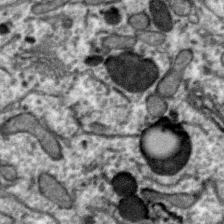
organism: Zebra finch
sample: Brain